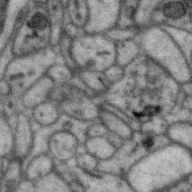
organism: Zebra finch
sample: Brain